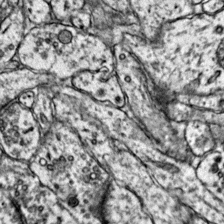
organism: Mouse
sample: Primary visual cortex